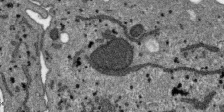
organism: Human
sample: Lung epithelial cells, uninfected (mock) control